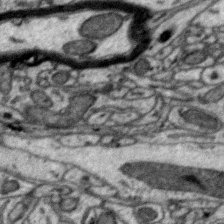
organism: Zebra finch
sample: Brain